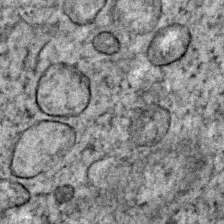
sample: Trachea